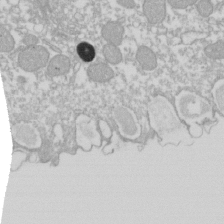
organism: Xenopus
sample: Cilia; centrioles in frog embryo cells